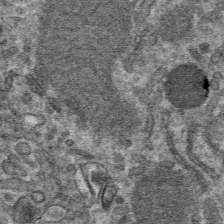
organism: Mouse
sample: Mouse hepatocytes